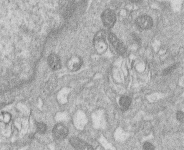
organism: Human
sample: Macrophage cells